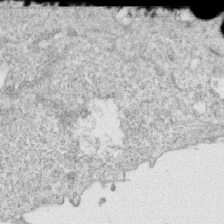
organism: Human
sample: HeLa cell HIV synapse